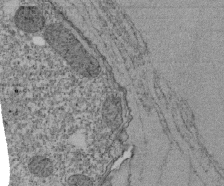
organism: Tetrahymena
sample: Cilia in tetrahymena